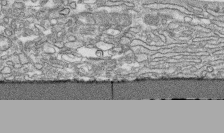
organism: Human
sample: CRL-1474